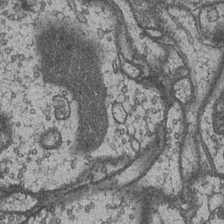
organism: Drosophila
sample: Optic medulla